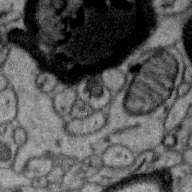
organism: Zebra finch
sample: Brain